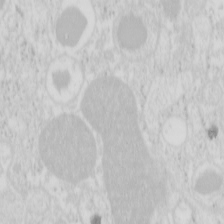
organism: Mouse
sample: Pancreas